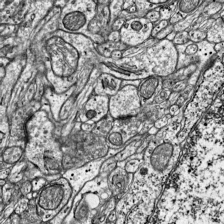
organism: Mouse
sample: Visual Cortex